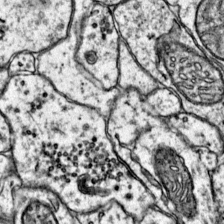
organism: Mouse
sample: Primary visual cortex